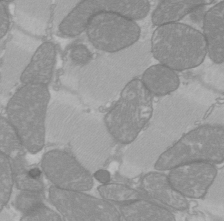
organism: C57BL Mouse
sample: Heart